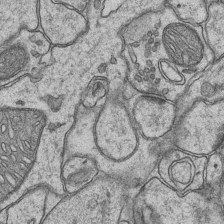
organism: Mouse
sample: CA1 Hippocampus